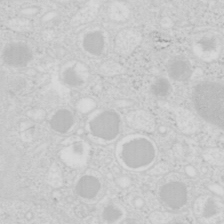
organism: Mouse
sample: Pancreas